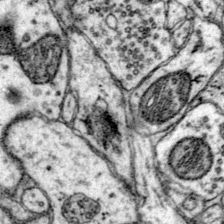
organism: Mouse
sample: Primary visual cortex